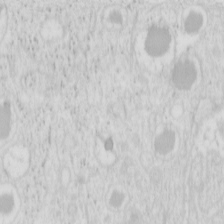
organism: Mouse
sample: Pancreas